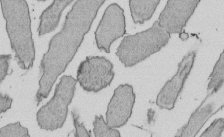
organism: E. coli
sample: Bacterial nucleoid